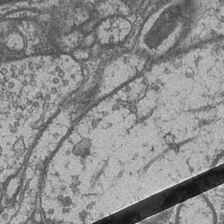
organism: Drosophila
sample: Optic medulla